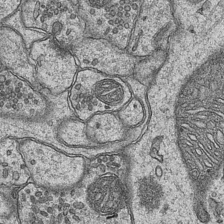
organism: Mouse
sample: CA1 Hippocampus